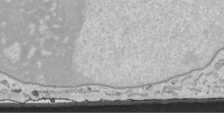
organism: Human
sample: Mitochondria in HCT116 cells